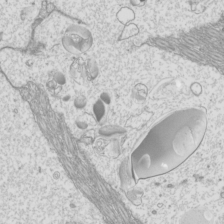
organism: Mouse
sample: Cilia; mouse epididymis